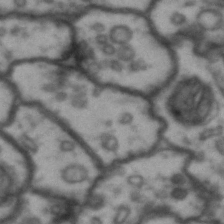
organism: Drosophila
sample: Brain